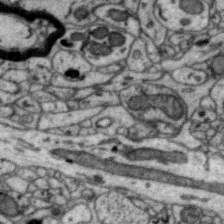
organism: Zebra finch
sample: Brain